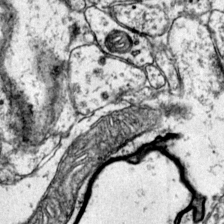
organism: Mouse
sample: Primary visual cortex